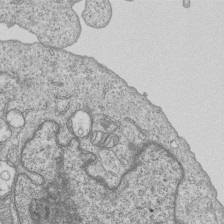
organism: Human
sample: MDA-MB-231 cells